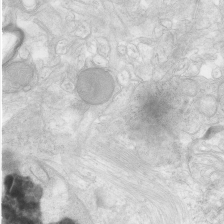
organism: Human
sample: Neocortex